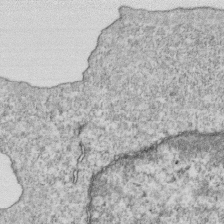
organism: Mouse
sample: Activated OT-1 CD8+ T cells